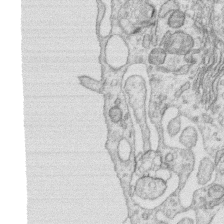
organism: Human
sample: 1205lu cells